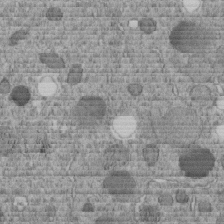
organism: C. elegans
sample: C. elegans embryo early stage